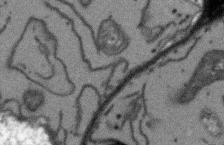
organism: Arabidopsis thaliana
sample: Root tip